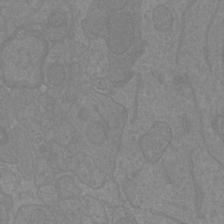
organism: Mouse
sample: Cortical neurons